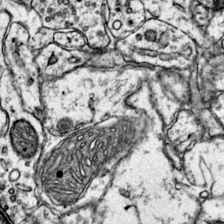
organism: Mouse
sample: Primary visual cortex